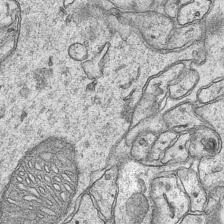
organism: Mouse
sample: CA1 Hippocampus